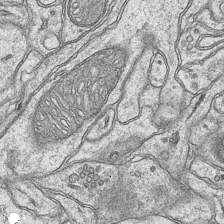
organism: Mouse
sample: CA1 Hippocampus